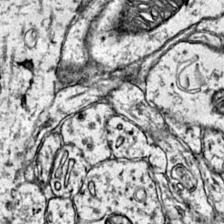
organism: Mouse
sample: Primary visual cortex